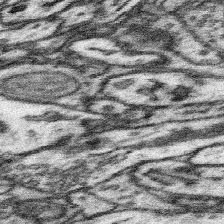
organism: Mouse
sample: Somatosensory cortex neuropil